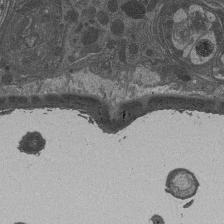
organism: Drosophila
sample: Antenna